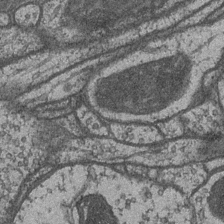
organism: Drosophila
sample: Optic medulla